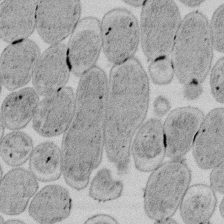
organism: E. coli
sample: Bacterial nucleoid